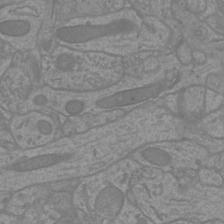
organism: Mouse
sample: Cortical neurons